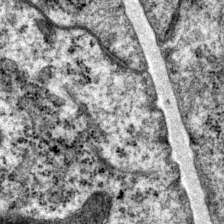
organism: P. pacificus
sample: Pharynx